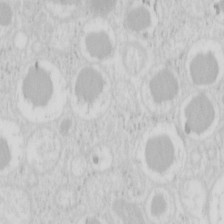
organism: Mouse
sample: Pancreas